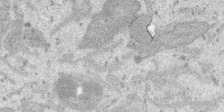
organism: Human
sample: Lung epithelial cells infected with SARS-CoV-2